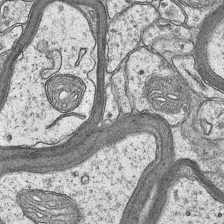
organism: Mouse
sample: CA1 Hippocampus